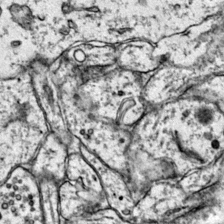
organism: Mouse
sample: Primary visual cortex